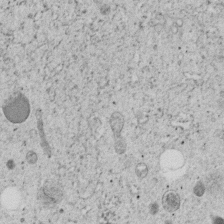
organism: C. elegans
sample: C. elegans embryo early stage